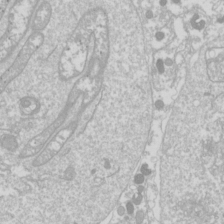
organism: Drosophila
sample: Cell division; meiosis; drosophila spermatocytes